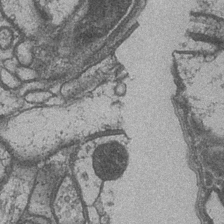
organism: Drosophila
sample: Optic medulla